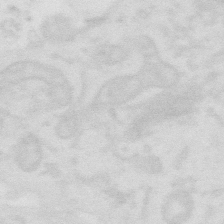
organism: Human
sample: HeLa cells